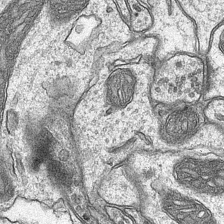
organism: Mouse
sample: CA1 Hippocampus